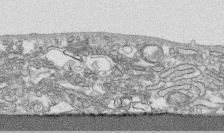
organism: Human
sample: CRL-1474